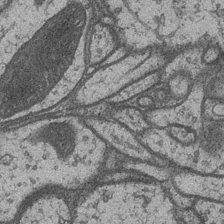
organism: Drosophila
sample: Optic medulla